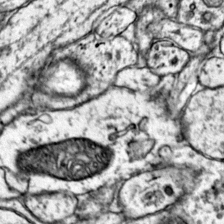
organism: Mouse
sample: Primary visual cortex